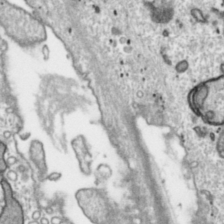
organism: Toxoplasma gondii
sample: Parasites in a vacuole inside a host cell